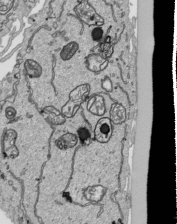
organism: Human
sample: Mitochondria in HCT116 cells